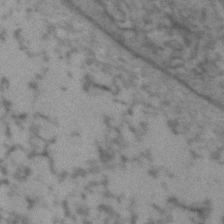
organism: Zebrafish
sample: Zebrafish embryo